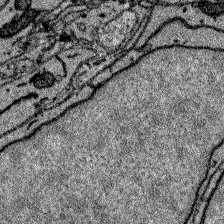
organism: Zebrafish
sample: Larval olfactory bulb